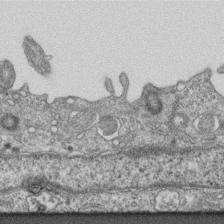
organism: Mouse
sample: Centriole in ependymal cells